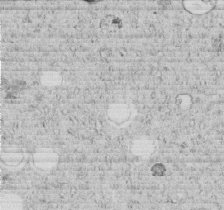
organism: C. elegans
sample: C. elegans embryo early stage